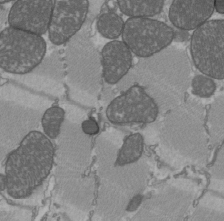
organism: C57BL Mouse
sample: Heart